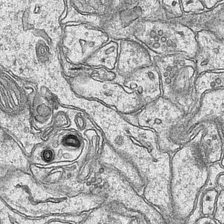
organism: Mouse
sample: CA1 Hippocampus